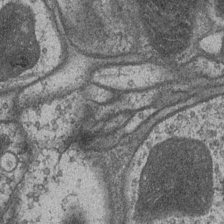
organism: Drosophila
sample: Optic medulla